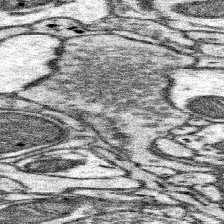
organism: Mouse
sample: Somatosensory cortex neuropil